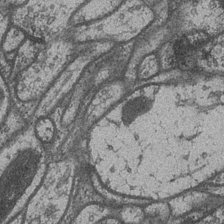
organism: Drosophila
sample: Optic medulla